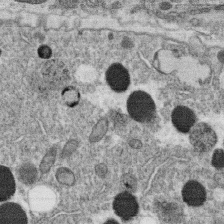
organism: C. elegans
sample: C. elegans oocyte; sperm cells